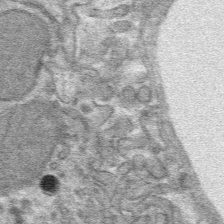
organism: Mouse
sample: Mouse hepatocytes